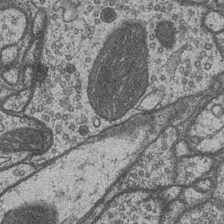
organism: Drosophila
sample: Optic medulla